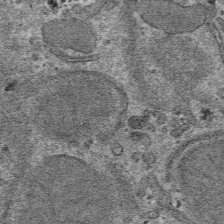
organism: Mouse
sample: Mouse hepatocytes